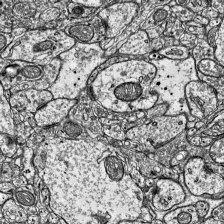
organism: Mouse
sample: Visual Cortex